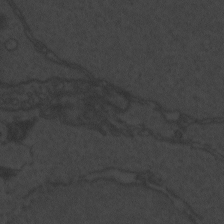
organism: Zebrafish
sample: Macrophage infected with Toxoplasma gondii